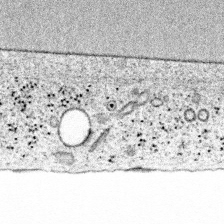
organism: Human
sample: HeLa cells